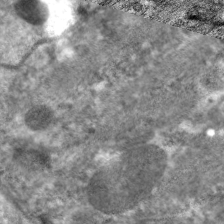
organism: C. elegans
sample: Pharynx